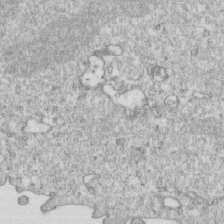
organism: Mouse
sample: Activated OT-1 CD8+ T cells